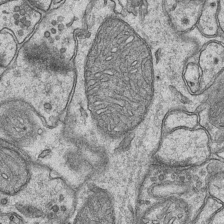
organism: Mouse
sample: CA1 Hippocampus